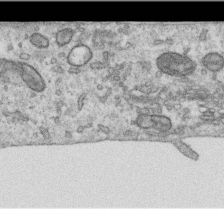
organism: Human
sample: Centriole in RPE cells